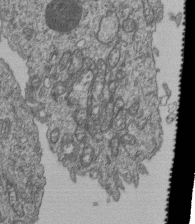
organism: Human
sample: Retinal organoid Rod and Cone cells